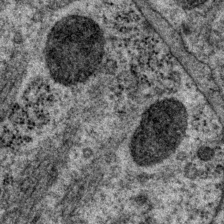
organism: P. pacificus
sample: Pharynx